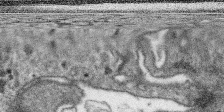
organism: Human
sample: Lung epithelial cells infected with SARS-CoV-2